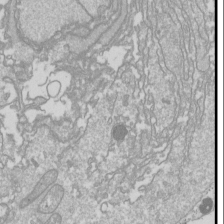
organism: Drosophila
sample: Cell division; meiosis; drosophila spermatocytes